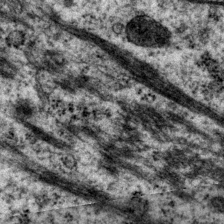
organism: P. pacificus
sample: Pharynx